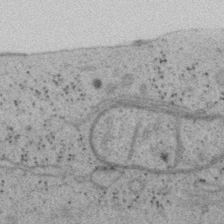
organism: Human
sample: HeLa cells